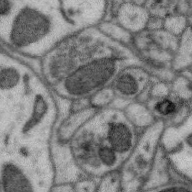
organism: Zebra finch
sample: Brain